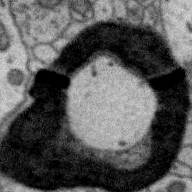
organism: Zebra finch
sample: Brain